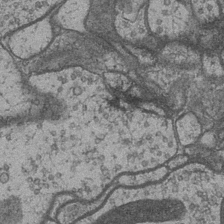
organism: Drosophila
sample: Optic medulla